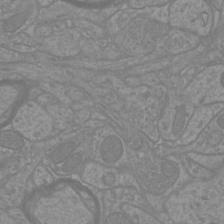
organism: Mouse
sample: Cortical neurons